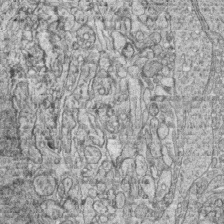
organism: Zebrafish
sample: synaptic ribbons in rod cells and cone cells